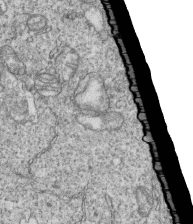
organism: Human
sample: HeLa cell HIV synapse